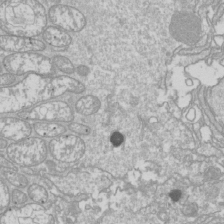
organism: Drosophila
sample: Cell division; meiosis; drosophila spermatocytes